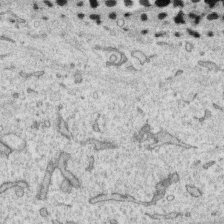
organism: Human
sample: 1205lu cells